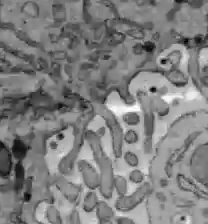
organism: C57BL Mouse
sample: Liver